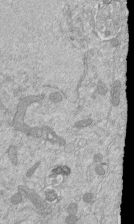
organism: Mouse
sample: ED-1 cell nuclei; centrioles